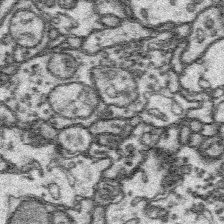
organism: Platynereis dumerilii